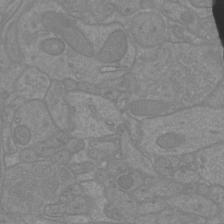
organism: Mouse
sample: Cortical neurons